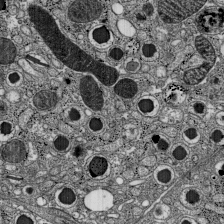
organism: C57BL Mouse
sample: Pancreatic islet